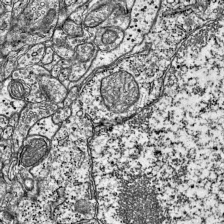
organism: Mouse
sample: Visual Cortex